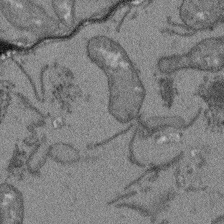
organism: Arabidopsis thaliana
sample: Root tip